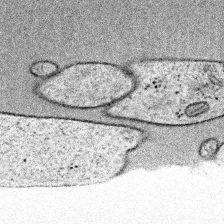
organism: Human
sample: HeLa cells